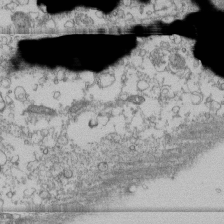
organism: Human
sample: Fibroblast cells